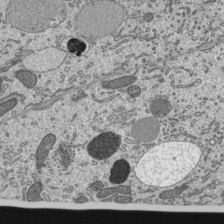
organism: Mouse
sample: Mouse epididymis efferent ductule cilia